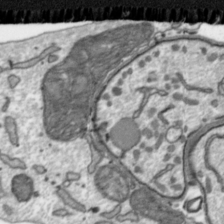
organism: Toxoplasma gondii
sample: Parasites in a vacuole inside a host cell